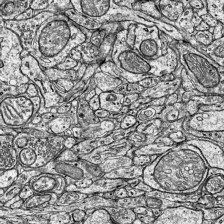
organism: Mouse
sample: Visual Cortex